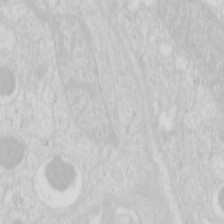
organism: Mouse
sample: Pancreas